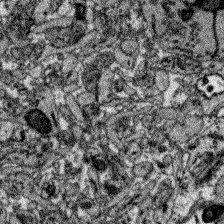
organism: Zebrafish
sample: Larval olfactory bulb